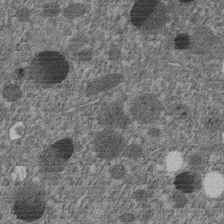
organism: C. elegans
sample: C. elegans embryo early stage